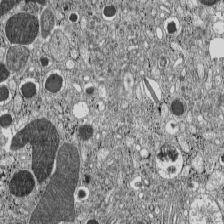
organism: C57BL Mouse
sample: Pancreatic islet